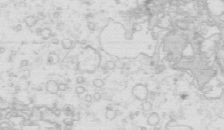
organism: Mouse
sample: Multiciliated cells